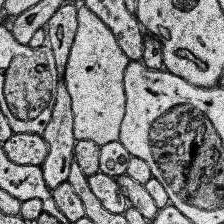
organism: Human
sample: Temporal Lobe